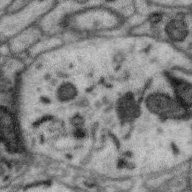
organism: Zebra finch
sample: Brain